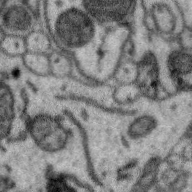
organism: Zebra finch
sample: Brain